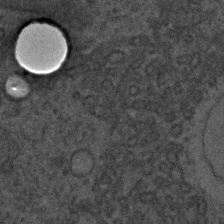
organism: C. elegans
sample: C. elegans embryo